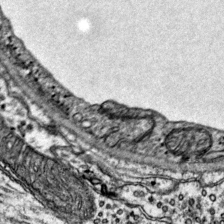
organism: Mouse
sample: Primary visual cortex